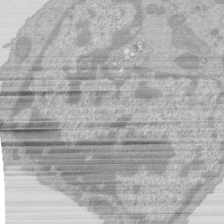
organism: Mouse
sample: Activated Pmel transgenic CD8+ T Cells